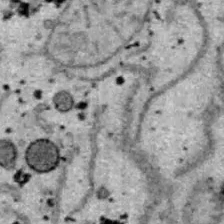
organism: Mouse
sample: Liver from an obese (ob/ob) mouse